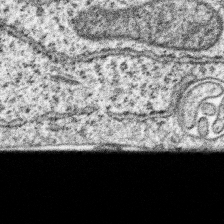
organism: Human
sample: HeLa cells